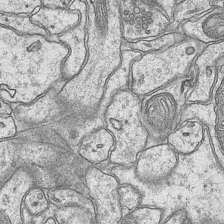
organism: Mouse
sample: CA1 Hippocampus